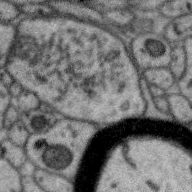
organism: Zebra finch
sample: Brain